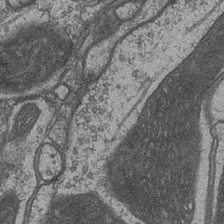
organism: Drosophila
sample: Optic medulla